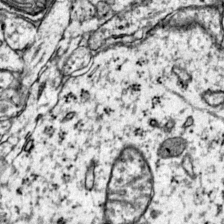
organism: Mouse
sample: Primary visual cortex